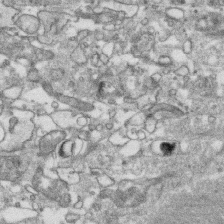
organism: Human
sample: CRL-1474